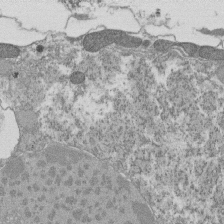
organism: Tetrahymena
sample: Cilia in tetrahymena